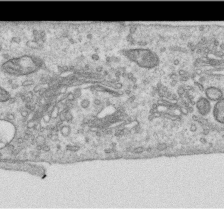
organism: Human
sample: Centriole in RPE cells